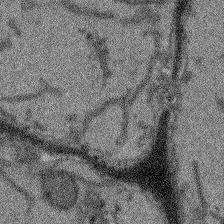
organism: Arabidopsis thaliana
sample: Root tip